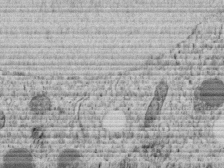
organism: C. elegans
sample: C. elegans embryo early stage